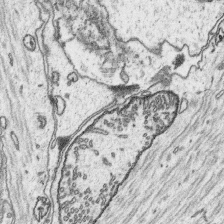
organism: Platynereis dumerilii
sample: Parapodia